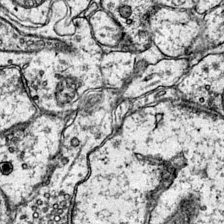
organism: Mouse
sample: Primary visual cortex